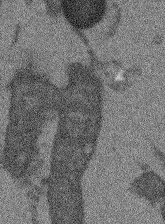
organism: Arabidopsis thaliana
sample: Root tip